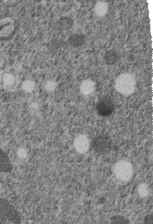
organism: C. elegans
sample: C. elegans embryo early stage